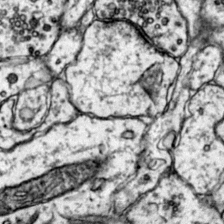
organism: Mouse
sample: Primary visual cortex